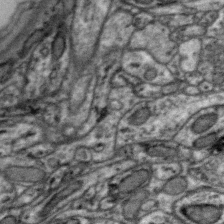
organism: Zebra finch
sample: Brain